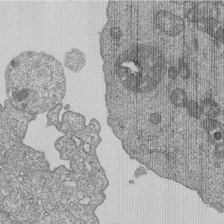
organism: Human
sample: MDA-MB-231 cells